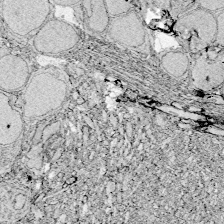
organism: Zebrafish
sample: Whole-Brain